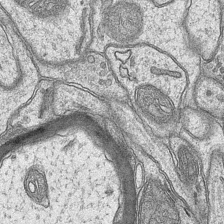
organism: Mouse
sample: CA1 Hippocampus